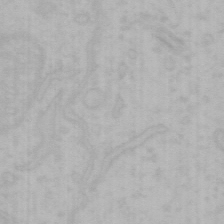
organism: Mouse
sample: Choroid plexus